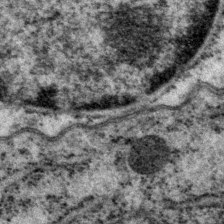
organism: P. pacificus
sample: Pharynx